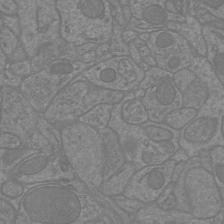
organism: Mouse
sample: Cortical neurons